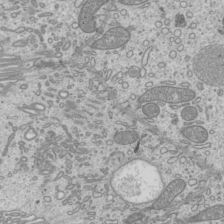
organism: Mouse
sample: Cilia; mouse epididymis